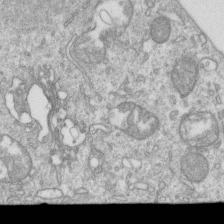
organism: Mouse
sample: Activated OT-1 CD8+ T cells